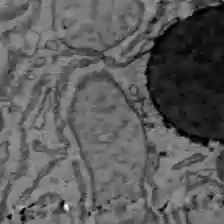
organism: C57BL Mouse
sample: Liver